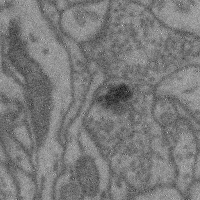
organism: Mouse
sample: Cerebral cortex